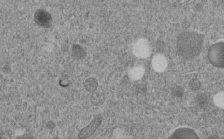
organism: C. elegans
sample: C. elegans embryo early stage